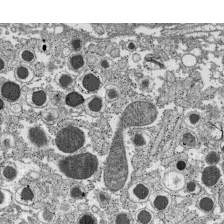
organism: C57BL Mouse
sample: Pancreatic islet